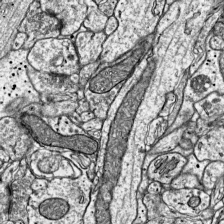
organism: Mouse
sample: Visual Cortex